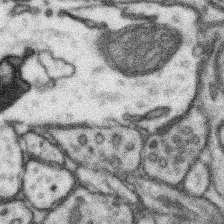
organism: Mouse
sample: Somatosensory cortex neuropil